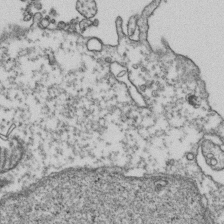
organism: Human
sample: Activated Jurkat CD4+ T cells